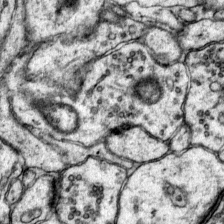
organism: Mouse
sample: Primary visual cortex